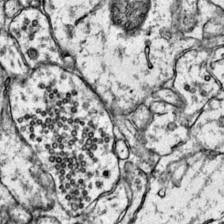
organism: Mouse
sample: Primary visual cortex